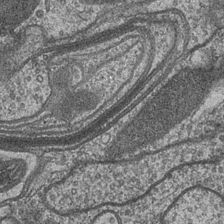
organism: Drosophila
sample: Optic medulla